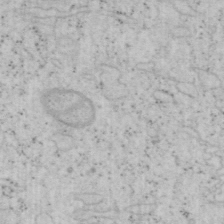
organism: Human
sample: HeLa cells